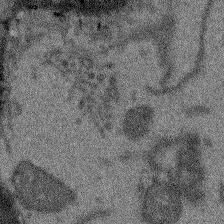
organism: Arabidopsis thaliana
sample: Root tip